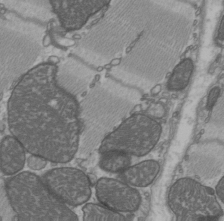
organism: C57BL Mouse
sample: Heart